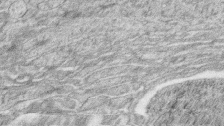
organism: Zebrafish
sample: synaptic ribbons in rod cells and cone cells